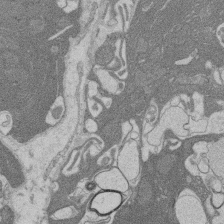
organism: Rat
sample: Salivary granule